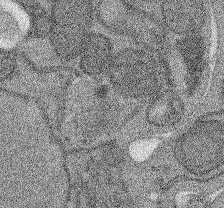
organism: Human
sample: HeLa cells